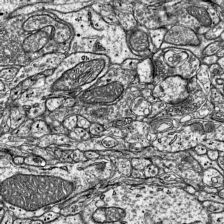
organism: Mouse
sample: Visual Cortex